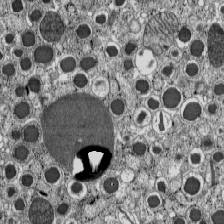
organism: C57BL Mouse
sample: Pancreatic islet